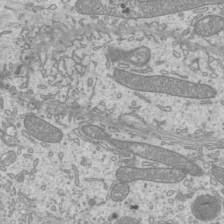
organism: Mouse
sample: Cilia; mouse epididymis